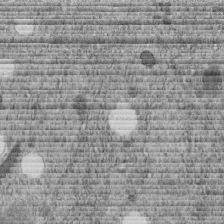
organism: C. elegans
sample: C. elegans embryo early stage